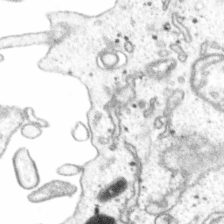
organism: Human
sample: HeLa cells